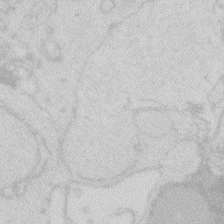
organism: Zebrafish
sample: Macrophage